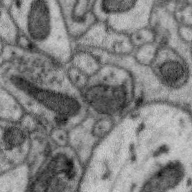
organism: Zebra finch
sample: Brain